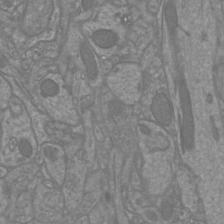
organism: Mouse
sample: Cortical neurons